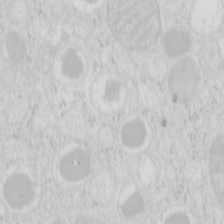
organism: Mouse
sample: Pancreas